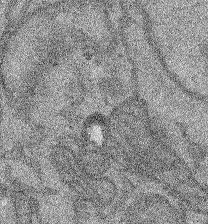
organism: Human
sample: HeLa cells